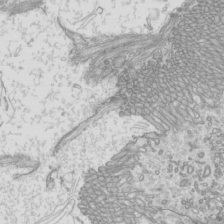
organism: Mouse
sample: Cilia; mouse epididymis